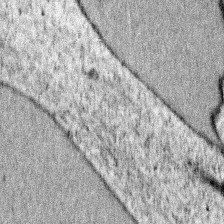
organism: Human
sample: HeLa cells